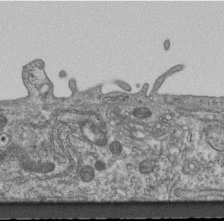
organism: Mouse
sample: Centriole in ependymal cells